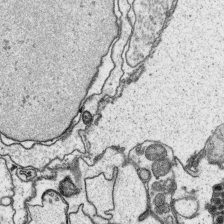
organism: Platynereis dumerilii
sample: Parapodia